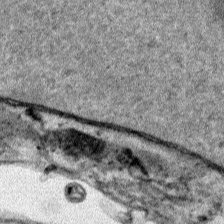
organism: Human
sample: Mitochondria in HCT116 cells